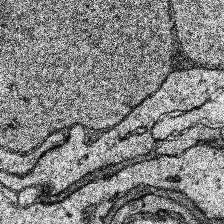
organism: Human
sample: Temporal Lobe